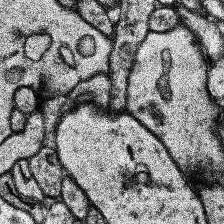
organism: Human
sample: Temporal Lobe